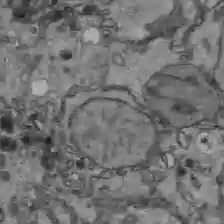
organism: C57BL Mouse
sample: Liver